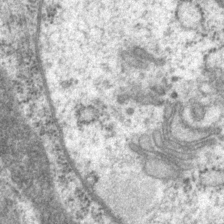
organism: P. pacificus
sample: Pharynx